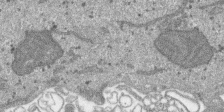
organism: Human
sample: Lung epithelial cells infected with SARS-CoV-2